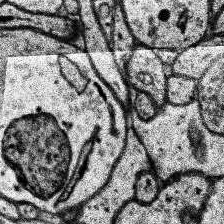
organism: Human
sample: Temporal Lobe